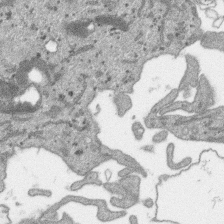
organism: Human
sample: Lung epithelial cells infected with SARS-CoV-2